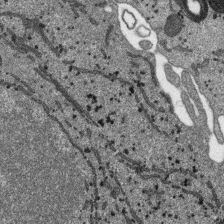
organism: Human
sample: Lung epithelial cells infected with SARS-CoV-2